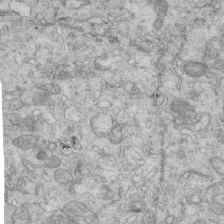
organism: Mouse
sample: Multiciliated cells